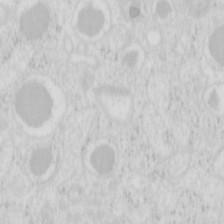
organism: Mouse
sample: Pancreas